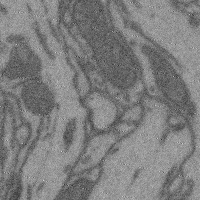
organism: Mouse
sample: Cerebral cortex